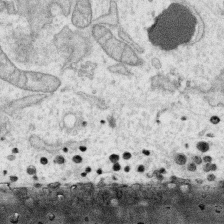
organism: Human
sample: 1205lu cells